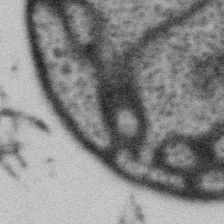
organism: Gemmata obscuriglobus